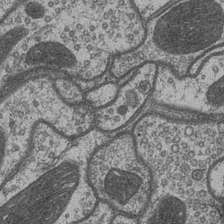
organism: Drosophila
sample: Optic medulla